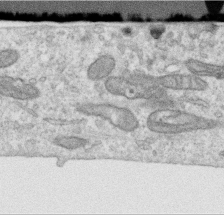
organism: Human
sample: Centriole in RPE cells